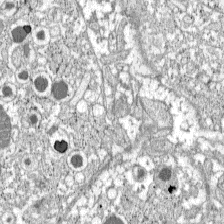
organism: C57BL Mouse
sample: Pancreatic islet